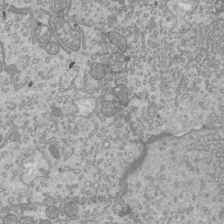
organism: Mouse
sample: Cilia; mouse epididymis